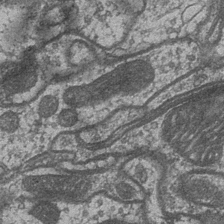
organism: Drosophila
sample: Optic medulla